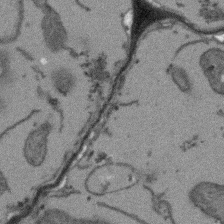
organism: Arabidopsis thaliana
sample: Root tip